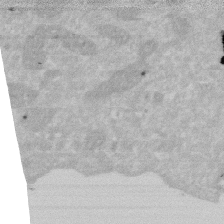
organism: Human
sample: HIV infected U937 cells